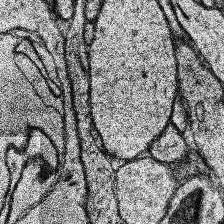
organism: Human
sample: Temporal Lobe